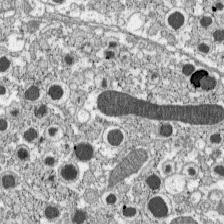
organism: C57BL Mouse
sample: Pancreatic islet